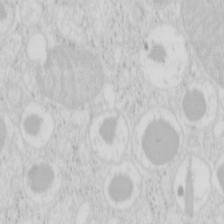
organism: Mouse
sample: Pancreas